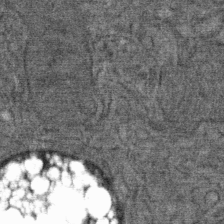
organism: Mouse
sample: Mouse Salivary gland